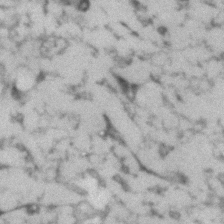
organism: Human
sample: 1205lu cells